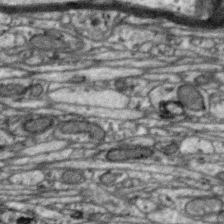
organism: Zebra finch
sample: Brain